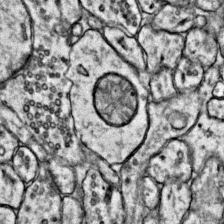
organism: Mouse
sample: Primary visual cortex